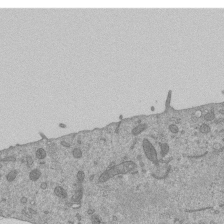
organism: Mouse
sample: ED-1 cell nuclei; centrioles